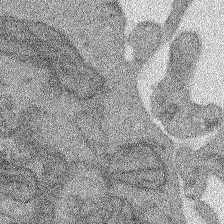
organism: Human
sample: HeLa cells